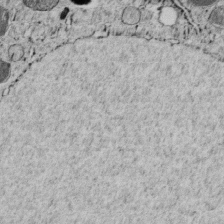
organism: C. elegans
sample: C. elegans embryo early stage